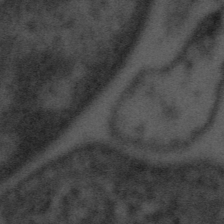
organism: Tuwongella immobilis